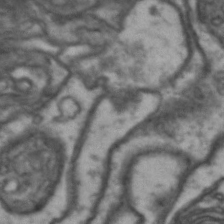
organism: Drosophila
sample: Brain